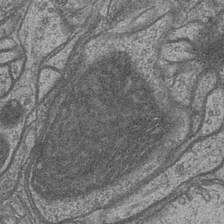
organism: Drosophila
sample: Optic medulla